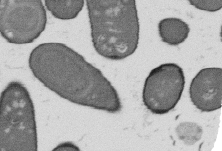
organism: B. subtilis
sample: Bacterial spore